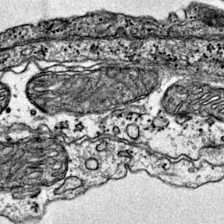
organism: Mouse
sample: Primary visual cortex